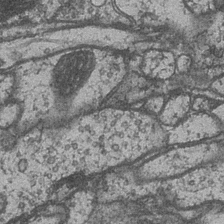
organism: Drosophila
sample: Optic medulla